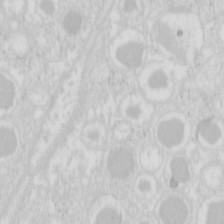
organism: Mouse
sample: Pancreas